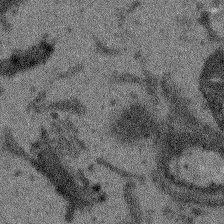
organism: Arabidopsis thaliana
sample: Root tip